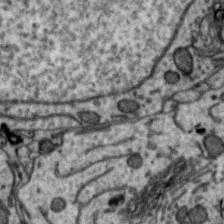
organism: Zebra finch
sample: Brain